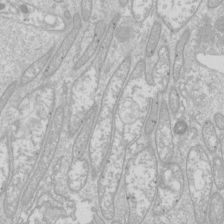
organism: Drosophila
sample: Cell division; meiosis; drosophila spermatocytes